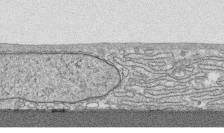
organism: Human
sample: CRL-1474